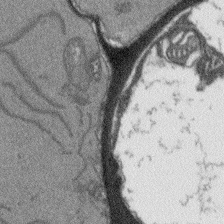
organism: Arabidopsis thaliana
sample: Root tip